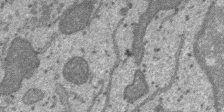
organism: Human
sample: Lung epithelial cells infected with SARS-CoV-2